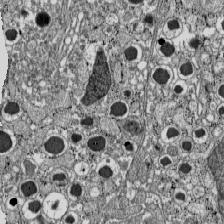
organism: C57BL Mouse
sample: Pancreatic islet